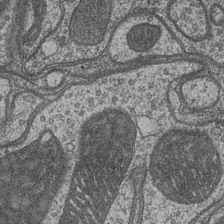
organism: Drosophila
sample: Optic medulla